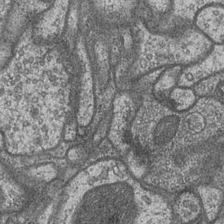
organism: Drosophila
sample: Optic medulla